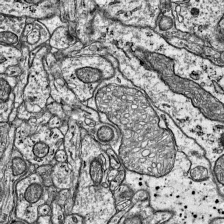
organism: Mouse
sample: Visual Cortex